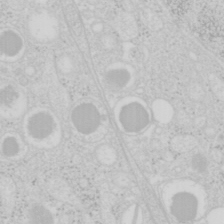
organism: Mouse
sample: Pancreas